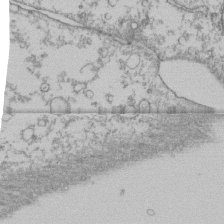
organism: Human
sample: Fibroblast cells